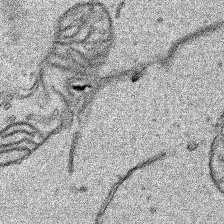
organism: Human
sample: Mitochondria in HCT116 cells